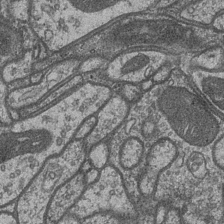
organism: Drosophila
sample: Optic medulla